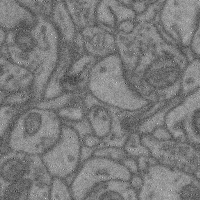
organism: Mouse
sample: Cerebral cortex